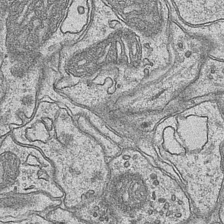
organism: Mouse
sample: CA1 Hippocampus